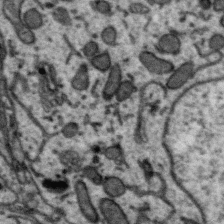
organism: Zebra finch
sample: Brain